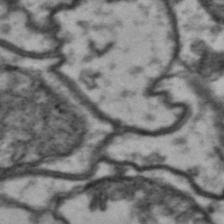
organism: Drosophila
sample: Brain